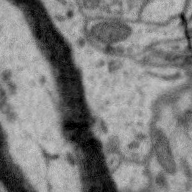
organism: Zebra finch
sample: Brain